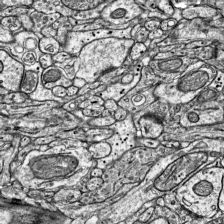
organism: Mouse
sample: Visual Cortex